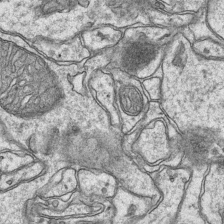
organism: Mouse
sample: CA1 Hippocampus